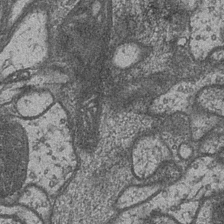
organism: Drosophila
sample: Optic medulla